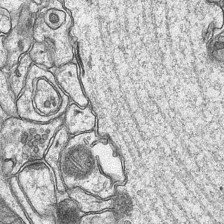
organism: Mouse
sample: CA1 Hippocampus